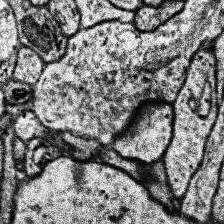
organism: Human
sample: Temporal Lobe